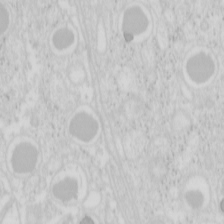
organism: Mouse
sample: Pancreas